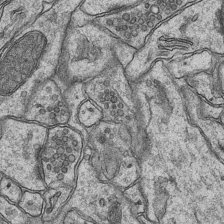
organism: Mouse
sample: CA1 Hippocampus